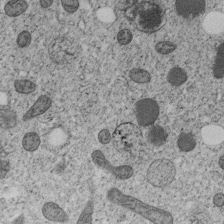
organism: C. elegans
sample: C. elegans embryo early stage